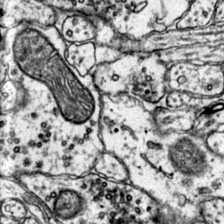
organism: Mouse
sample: Primary visual cortex